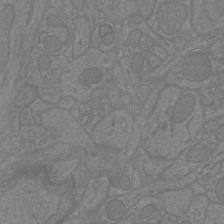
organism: Mouse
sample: Cortical neurons